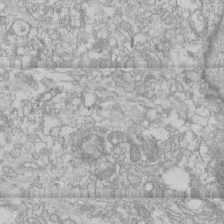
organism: Human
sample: CRL-1474